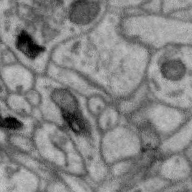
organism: Zebra finch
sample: Brain